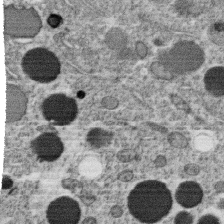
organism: C. elegans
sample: C. elegans oocyte; sperm cells